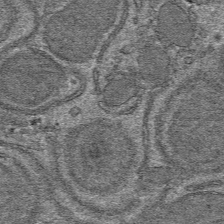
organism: Mouse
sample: Mouse hepatocytes